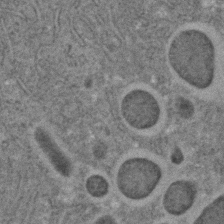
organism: C. elegans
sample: C. elegans embryo